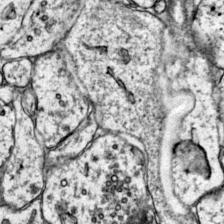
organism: Mouse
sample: Primary visual cortex